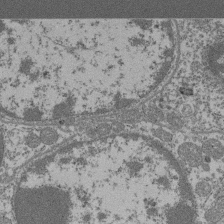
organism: Mouse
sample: Glomerulus